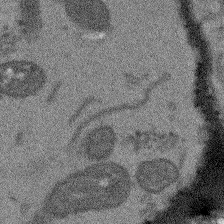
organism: Arabidopsis thaliana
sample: Root tip